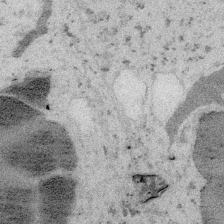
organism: Embia sp.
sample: Silk gland